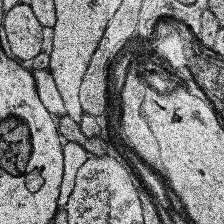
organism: Human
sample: Temporal Lobe